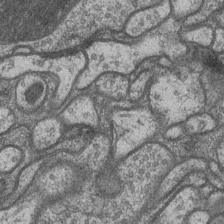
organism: Drosophila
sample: Optic medulla